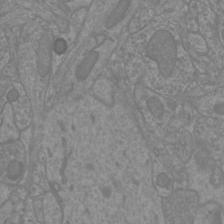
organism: Mouse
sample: Cortical neurons